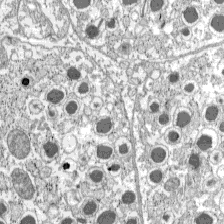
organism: C57BL Mouse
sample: Pancreatic islet